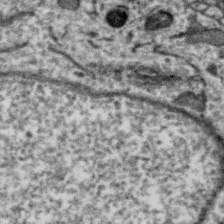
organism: Zebra finch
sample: Brain